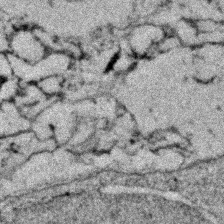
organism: Zebrafish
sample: Zebrafish embryo